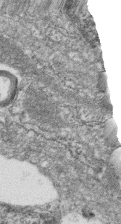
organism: Zebrafish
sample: Cilia; retinal pigment epithelium